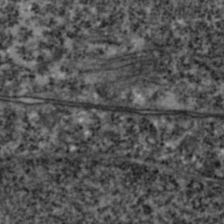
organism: Zebrafish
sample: Zebrafish embryo